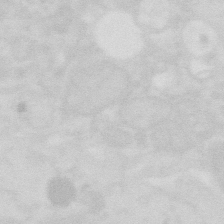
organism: Human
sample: HeLa cells